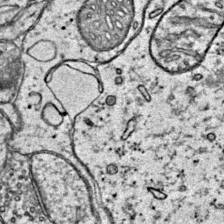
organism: Mouse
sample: Primary visual cortex